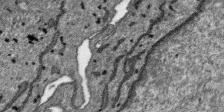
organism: Human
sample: Lung epithelial cells, uninfected (mock) control